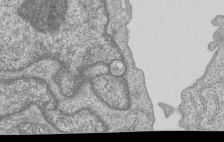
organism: Human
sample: MDA-MB-231 cells